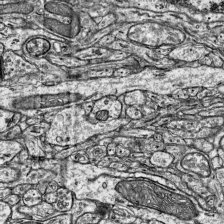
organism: Mouse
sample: Visual Cortex